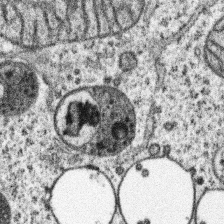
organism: Human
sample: HeLa cells